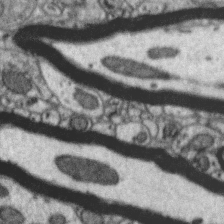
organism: Zebra finch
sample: Brain